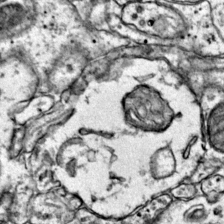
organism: Mouse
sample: Primary visual cortex